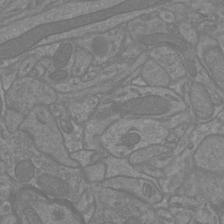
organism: Mouse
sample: Cortical neurons